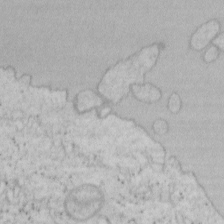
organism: Human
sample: HeLa cells